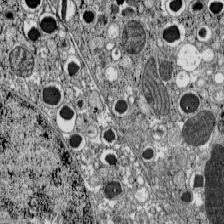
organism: C57BL Mouse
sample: Pancreatic islet